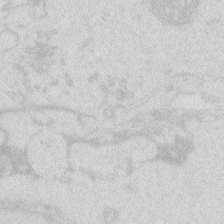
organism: Zebrafish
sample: Macrophage